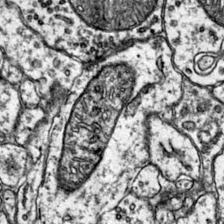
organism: Mouse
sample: Primary visual cortex